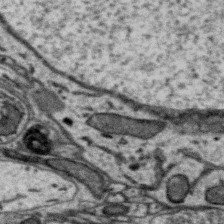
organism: Zebra finch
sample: Brain